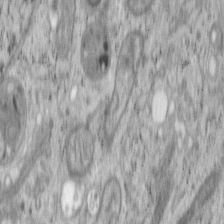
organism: Human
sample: HeLa cells